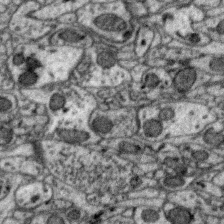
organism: Zebra finch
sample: Brain